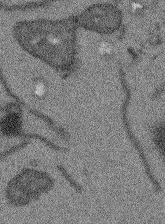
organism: Arabidopsis thaliana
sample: Root tip